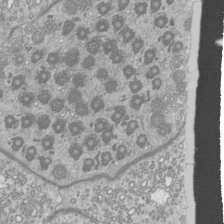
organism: Mouse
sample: Cilia; mouse epididymis